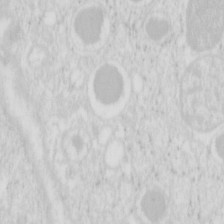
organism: Mouse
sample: Pancreas